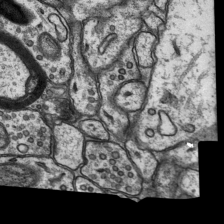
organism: Rat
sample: Hippocampus